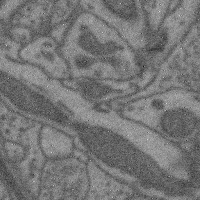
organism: Mouse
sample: Cerebral cortex